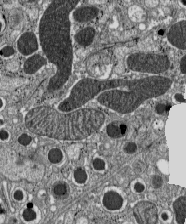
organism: C57BL Mouse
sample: Pancreatic islet